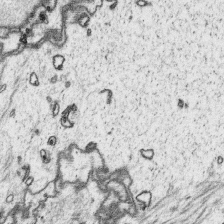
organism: Platynereis dumerilii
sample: Parapodia